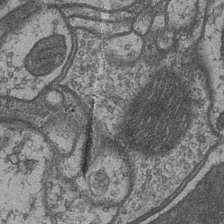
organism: Drosophila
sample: Optic medulla